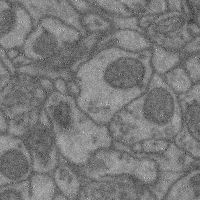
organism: Mouse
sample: Cerebral cortex